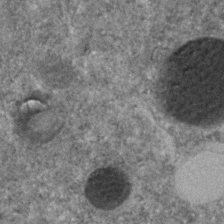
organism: C. elegans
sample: C. elegans embryo